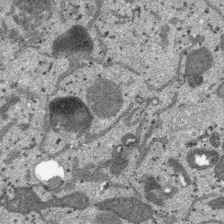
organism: Human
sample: Lung epithelial cells infected with SARS-CoV-2